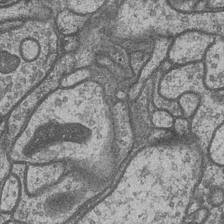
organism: Drosophila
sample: Optic medulla